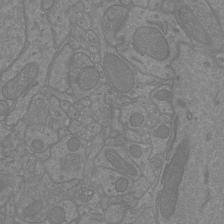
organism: Mouse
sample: Cortical neurons